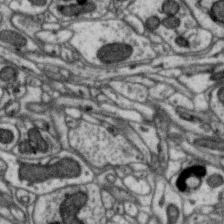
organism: Zebra finch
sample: Brain